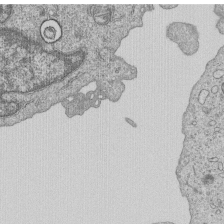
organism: Human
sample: MDA-MB-231 cells